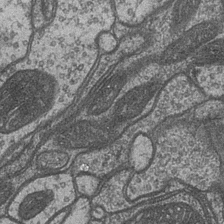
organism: Drosophila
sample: Optic medulla